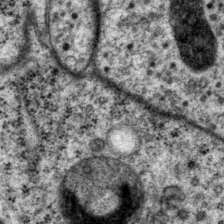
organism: P. pacificus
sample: Pharynx